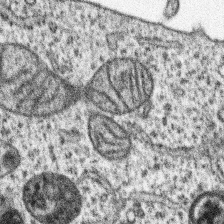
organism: Human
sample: HeLa cells